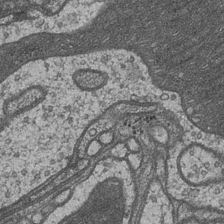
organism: Drosophila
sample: Optic medulla